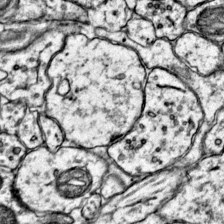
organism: Mouse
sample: Primary visual cortex